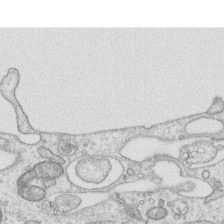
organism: Human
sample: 1205lu cells